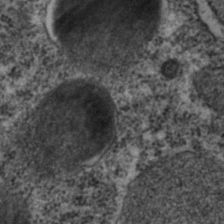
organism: C. elegans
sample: C. elegans embryo